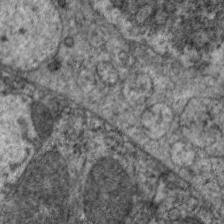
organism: C. elegans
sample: Pharynx